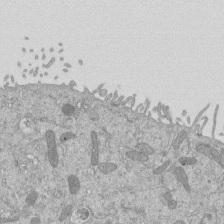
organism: Mouse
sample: ED-1 cell nuclei; centrioles